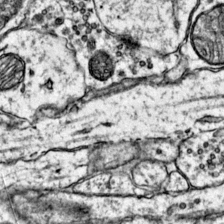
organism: Mouse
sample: Primary visual cortex